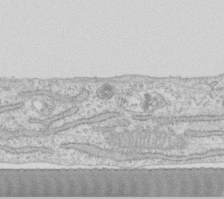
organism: Human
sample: Fibroblast cells